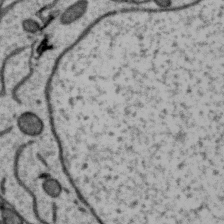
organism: Zebra finch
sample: Brain